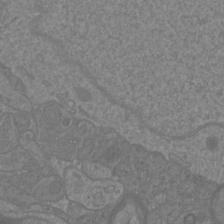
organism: Mouse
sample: Cortical neurons